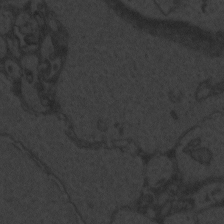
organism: Zebrafish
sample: Macrophage infected with Toxoplasma gondii